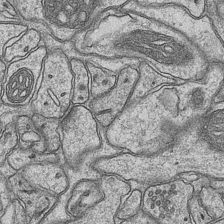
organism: Mouse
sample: CA1 Hippocampus